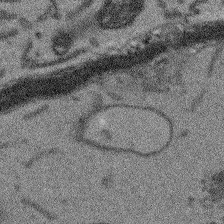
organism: Arabidopsis thaliana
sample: Root tip